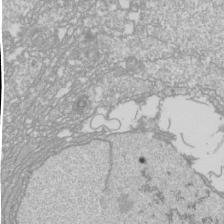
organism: Drosophila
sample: Cell division; meiosis; drosophila spermatocytes